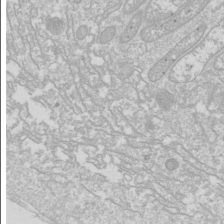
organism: Drosophila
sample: Cell division; meiosis; drosophila spermatocytes